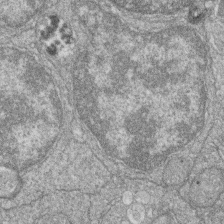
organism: Zebrafish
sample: Cilia; retinal pigment epithelium